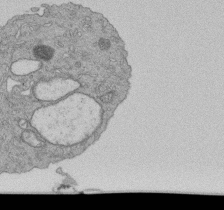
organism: Human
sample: Retinal organoid Rod and Cone cells